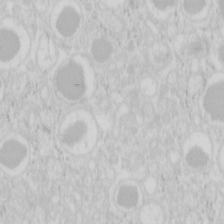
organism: Mouse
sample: Pancreas